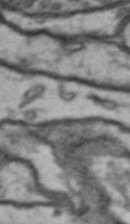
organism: Drosophila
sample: Brain